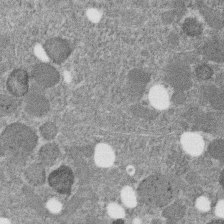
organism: C. elegans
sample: C. elegans embryo early stage